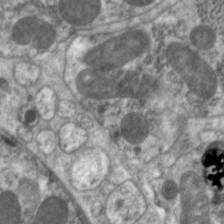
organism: C. elegans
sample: Pharynx